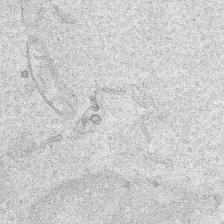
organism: Human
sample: Mitochondria in HCT116 cells